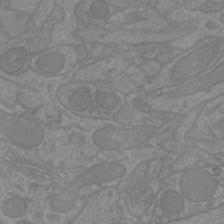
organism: Mouse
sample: Cortical neurons